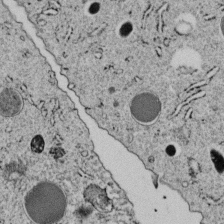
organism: C. elegans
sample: C. elegans embryo early stage